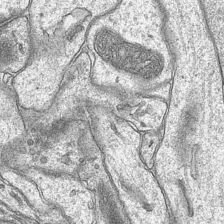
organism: Mouse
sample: CA1 Hippocampus